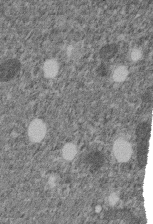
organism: C. elegans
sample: C. elegans embryo early stage